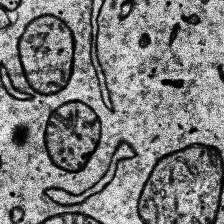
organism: Human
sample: Temporal Lobe